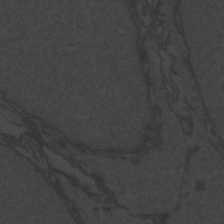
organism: Zebrafish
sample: Macrophage infected with Toxoplasma gondii